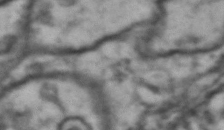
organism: Drosophila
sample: Brain